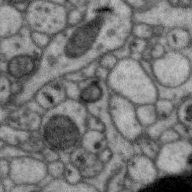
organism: Zebra finch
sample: Brain